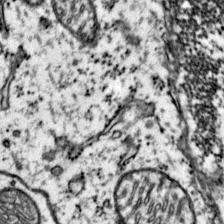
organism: Mouse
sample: Primary visual cortex